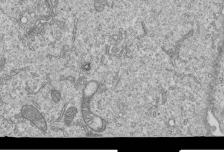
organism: Human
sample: MDA-MB-231 cells